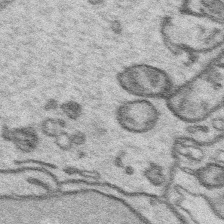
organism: Platynereis dumerilii